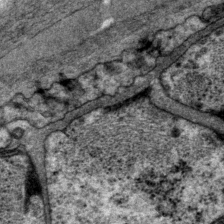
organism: P. pacificus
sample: Pharynx